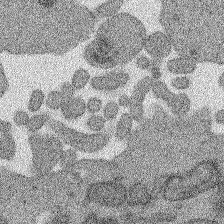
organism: Human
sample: HeLa cells